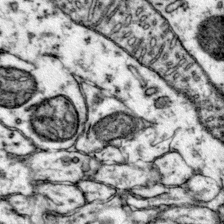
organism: Mouse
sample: Primary visual cortex